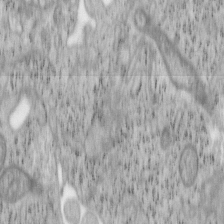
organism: Human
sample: HeLa cells